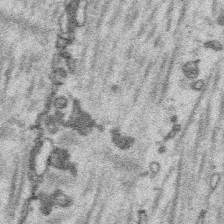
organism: Platynereis dumerilii